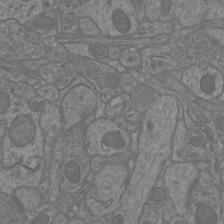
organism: Mouse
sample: Cortical neurons